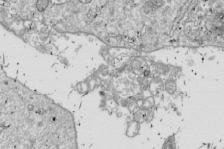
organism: Drosophila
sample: Cell division; meiosis; drosophila spermatocytes